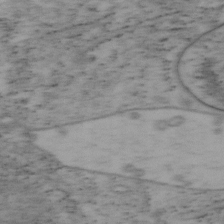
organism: Mouse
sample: OT-I killer T cells with ID8 ovarian cancer cells